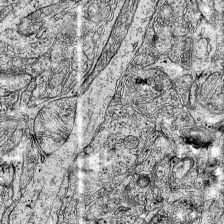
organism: Mouse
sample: Visual Cortex